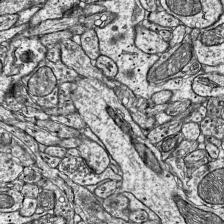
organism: Mouse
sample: Visual Cortex